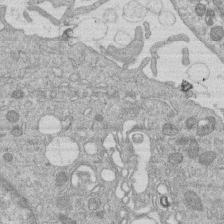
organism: Human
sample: Macrophage cells